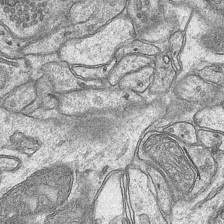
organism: Mouse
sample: CA1 Hippocampus